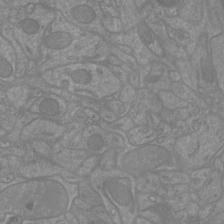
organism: Mouse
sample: Cortical neurons